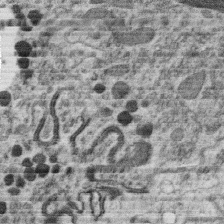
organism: C. elegans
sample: C. elegans oocyte; sperm cells